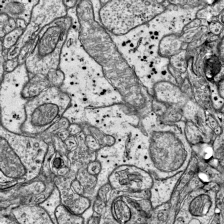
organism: Mouse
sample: Visual Cortex